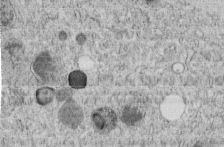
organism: C. elegans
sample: C. elegans embryo early stage